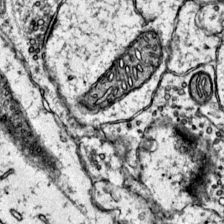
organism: Mouse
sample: Primary visual cortex